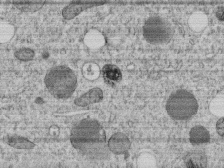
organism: C. elegans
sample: C. elegans embryo early stage